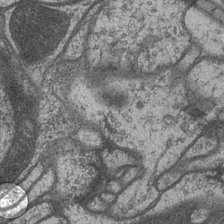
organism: Drosophila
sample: Optic medulla